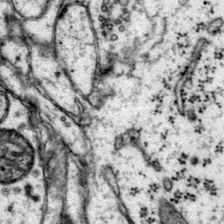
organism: Mouse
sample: Primary visual cortex